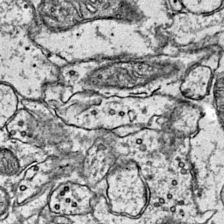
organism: Mouse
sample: Primary visual cortex